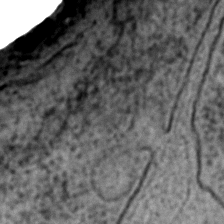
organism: C. elegans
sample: C. elegans embryo